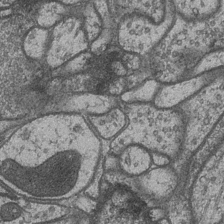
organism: Drosophila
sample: Optic medulla